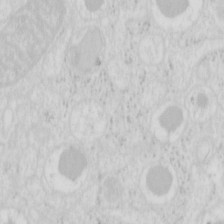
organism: Mouse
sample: Pancreas